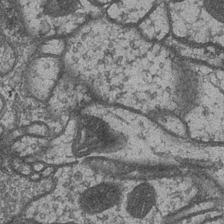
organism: Drosophila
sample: Optic medulla